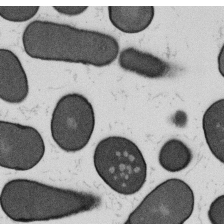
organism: B. subtilis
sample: Bacterial spore